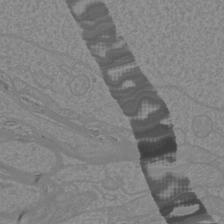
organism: Mouse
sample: Cortical neurons